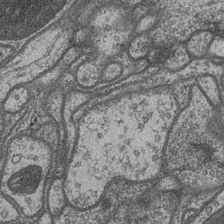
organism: Drosophila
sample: Optic medulla